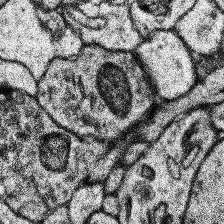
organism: Human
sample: Temporal Lobe